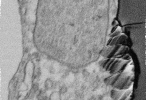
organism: Human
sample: Centriole in fibroblast cells